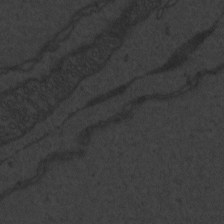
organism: Zebrafish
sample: Macrophage infected with Toxoplasma gondii